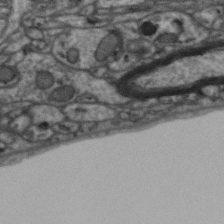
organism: Zebra finch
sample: Brain